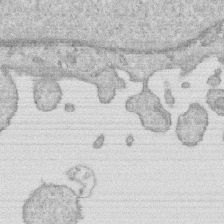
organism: Human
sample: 1205lu cells